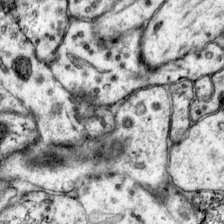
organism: Mouse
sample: Primary visual cortex